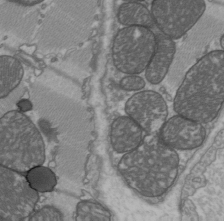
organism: C57BL Mouse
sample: Heart